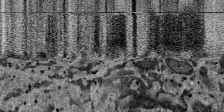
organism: Human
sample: Lung epithelial cells, uninfected (mock) control